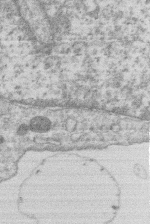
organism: Human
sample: Macrophage cells